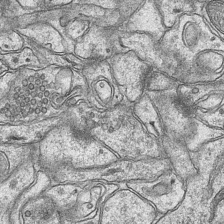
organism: Mouse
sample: CA1 Hippocampus